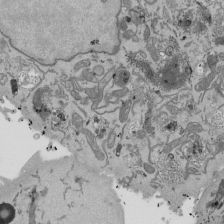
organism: Mouse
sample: ED-1 cell nuclei; centrioles